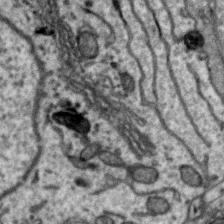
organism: Zebra finch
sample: Brain